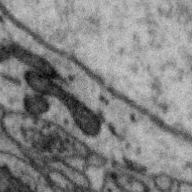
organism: Zebra finch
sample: Brain